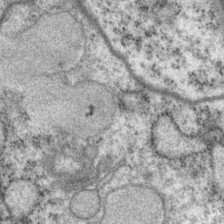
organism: P. pacificus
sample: Pharynx